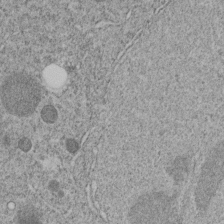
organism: C. elegans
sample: C. elegans embryo early stage